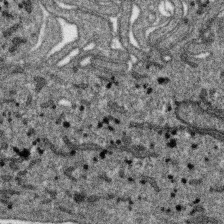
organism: Human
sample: Lung epithelial cells infected with SARS-CoV-2